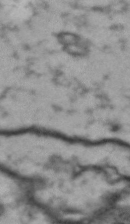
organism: Drosophila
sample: Brain